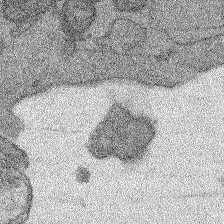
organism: Human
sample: HeLa cells